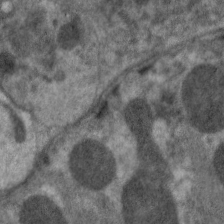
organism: C. elegans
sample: Pharynx